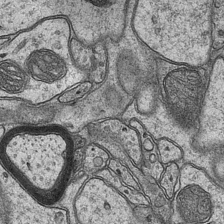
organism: Mouse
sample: CA1 Hippocampus